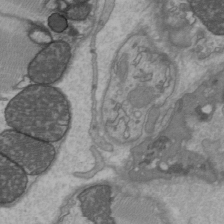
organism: C57BL Mouse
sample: Heart